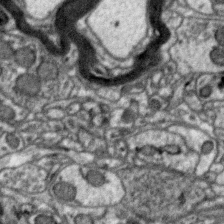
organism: Zebra finch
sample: Brain